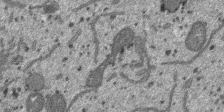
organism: Human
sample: Lung epithelial cells infected with SARS-CoV-2